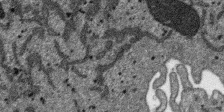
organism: Human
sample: Lung epithelial cells infected with SARS-CoV-2